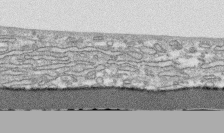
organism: Human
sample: CRL-1474